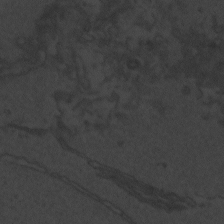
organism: Zebrafish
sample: Macrophage infected with Toxoplasma gondii